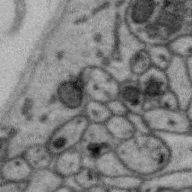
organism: Zebra finch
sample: Brain